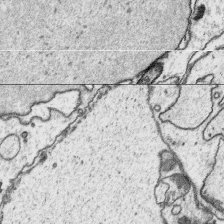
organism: Platynereis dumerilii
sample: Parapodia